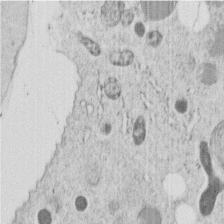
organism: C. elegans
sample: C. elegans embryo early stage